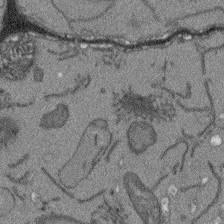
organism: Arabidopsis thaliana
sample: Root tip